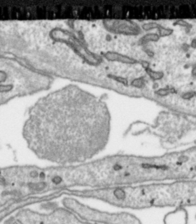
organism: Toxoplasma gondii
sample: Parasites in a vacuole inside a host cell